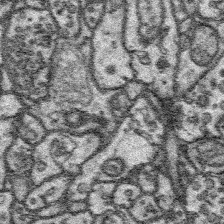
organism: Platynereis dumerilii